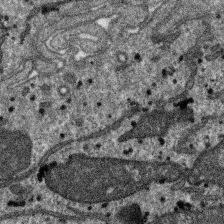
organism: Human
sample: Lung epithelial cells infected with SARS-CoV-2